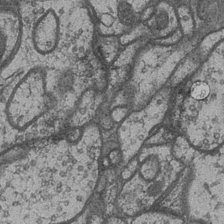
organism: Drosophila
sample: Optic medulla